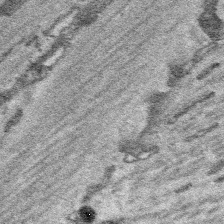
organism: Platynereis dumerilii